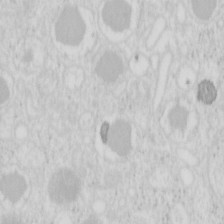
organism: Mouse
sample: Pancreas